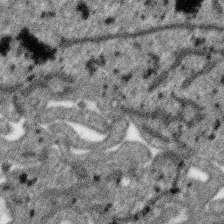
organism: Human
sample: Lung epithelial cells infected with SARS-CoV-2